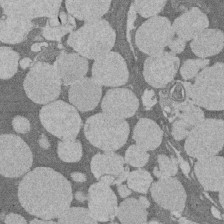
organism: Rat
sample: Salivary granule